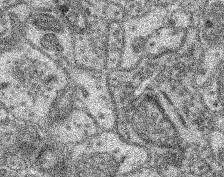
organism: Mouse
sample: Retina